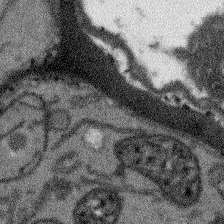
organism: Arabidopsis thaliana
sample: Root tip